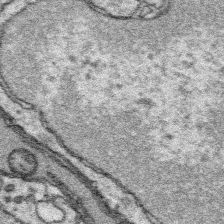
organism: Platynereis dumerilii